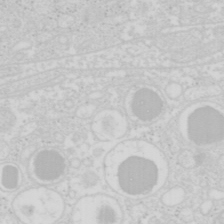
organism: Mouse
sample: Pancreas